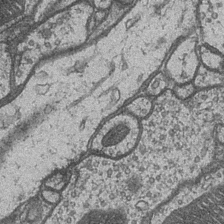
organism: Drosophila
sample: Optic medulla